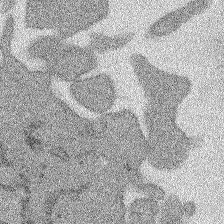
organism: Human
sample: HeLa cells